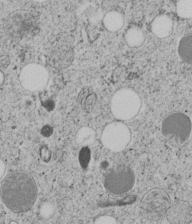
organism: C. elegans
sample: C. elegans embryo early stage